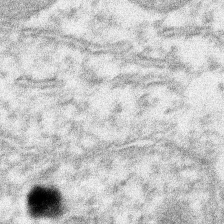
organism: Xenopus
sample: Cilia; centrioles in frog embryo cells